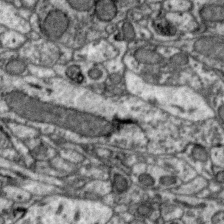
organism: Zebra finch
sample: Brain